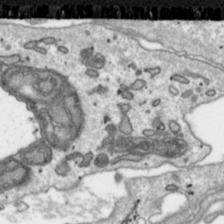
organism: Toxoplasma gondii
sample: Parasites in a vacuole inside a host cell